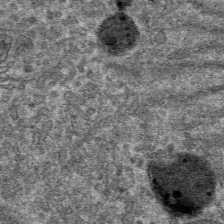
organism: Mouse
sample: Mouse hepatocytes